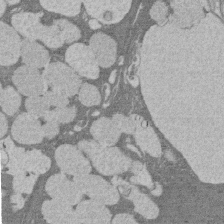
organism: Rat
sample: Salivary granule